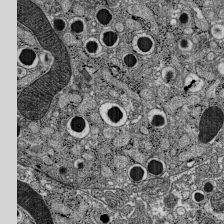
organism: C57BL Mouse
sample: Pancreatic islet